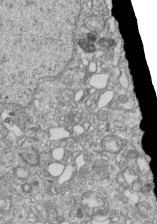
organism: Human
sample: HeLa cell HIV synapse